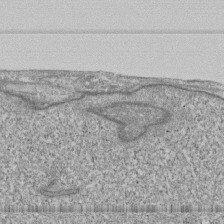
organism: Human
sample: Fibroblast cells